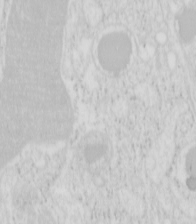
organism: Mouse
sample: Pancreas